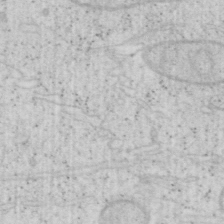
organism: Human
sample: HeLa cells